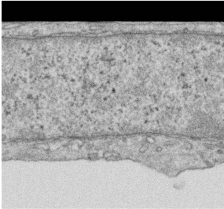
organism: Human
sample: Centriole in RPE cells